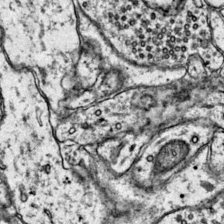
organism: Mouse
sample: Primary visual cortex